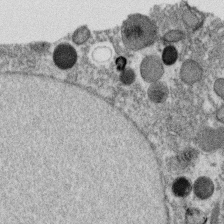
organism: C. elegans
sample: C. elegans oocyte; sperm cells